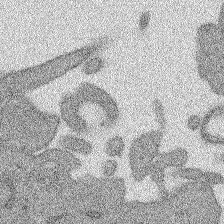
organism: Human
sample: HeLa cells